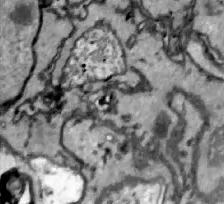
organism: Zebrafish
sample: Actinotrichia fibers